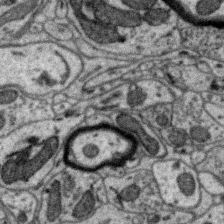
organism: Zebra finch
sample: Brain